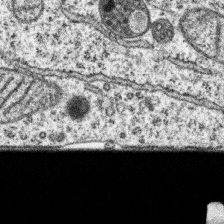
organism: Human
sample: HeLa cells